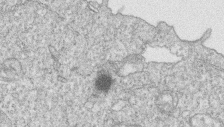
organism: Human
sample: HeLa cell HIV synapse